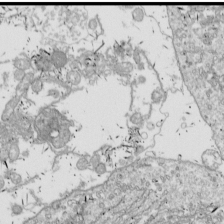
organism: Drosophila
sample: Cell division; meiosis; drosophila spermatocytes